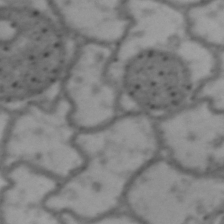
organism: Drosophila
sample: Brain